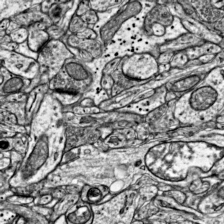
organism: Mouse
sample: Visual Cortex